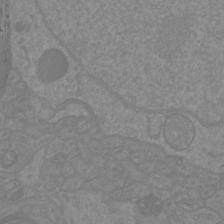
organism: Mouse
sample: Cortical neurons